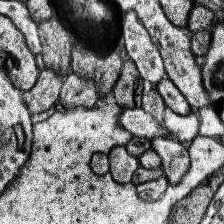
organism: Human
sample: Temporal Lobe